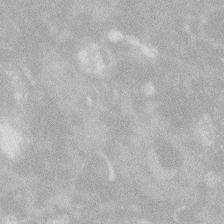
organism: Zebrafish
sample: Macrophage